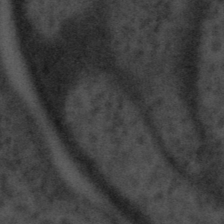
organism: Tuwongella immobilis